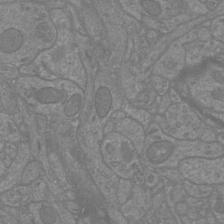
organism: Mouse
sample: Cortical neurons